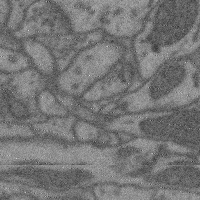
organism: Mouse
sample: Cerebral cortex